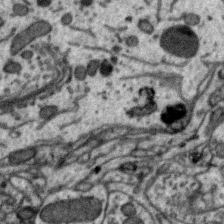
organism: Zebra finch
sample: Brain